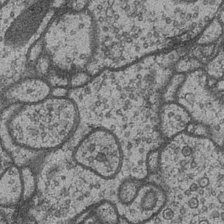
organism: Drosophila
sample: Optic medulla